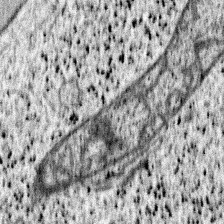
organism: Human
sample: HeLa cells